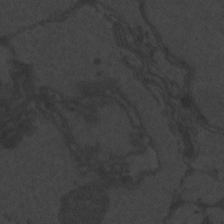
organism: Zebrafish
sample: Macrophage infected with Toxoplasma gondii